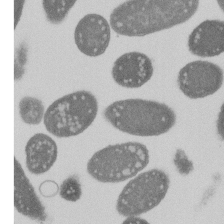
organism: E. coli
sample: Bacterial nucleoid